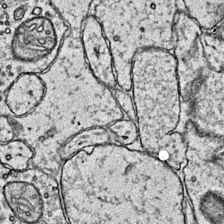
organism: Mouse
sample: Primary visual cortex